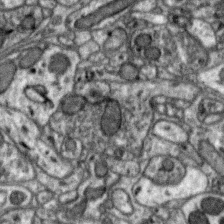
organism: Zebra finch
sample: Brain